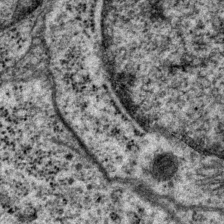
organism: P. pacificus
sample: Pharynx